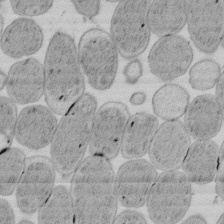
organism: E. coli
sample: Bacterial nucleoid